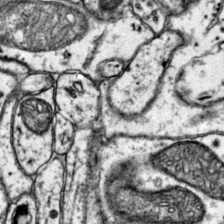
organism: Mouse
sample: Primary visual cortex